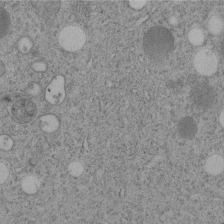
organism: C. elegans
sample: C. elegans embryo early stage